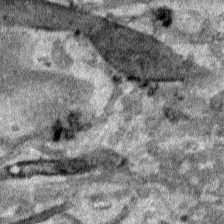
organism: Human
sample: Mitochondria in HCT116 cells